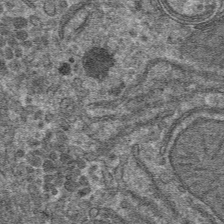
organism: Mouse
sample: Mouse hepatocytes